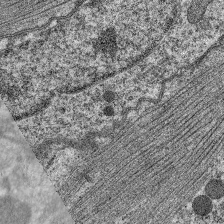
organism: C. elegans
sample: Pharynx